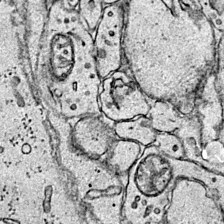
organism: Mouse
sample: Primary visual cortex